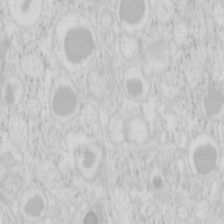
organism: Mouse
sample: Pancreas